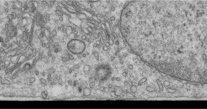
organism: Human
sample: Centriole in RPE cells